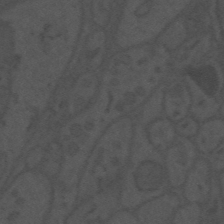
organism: Mouse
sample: Suprachiasmatic nucleus